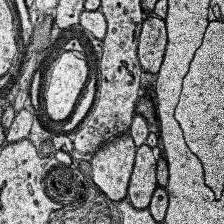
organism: Human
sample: Temporal Lobe